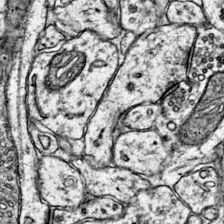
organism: Mouse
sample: Primary visual cortex